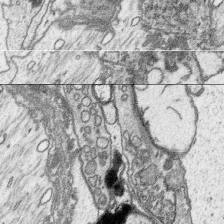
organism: Platynereis dumerilii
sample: Parapodia